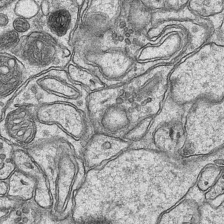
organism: Mouse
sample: CA1 Hippocampus